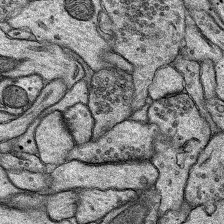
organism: Rat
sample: Hippocampus